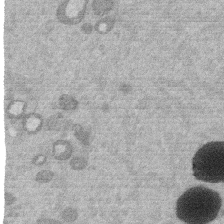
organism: Mouse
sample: Dividing mouse embryo 1 cell stage